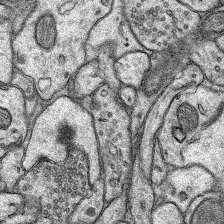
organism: Rat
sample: Hippocampus